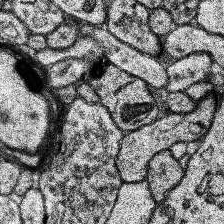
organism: Human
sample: Temporal Lobe